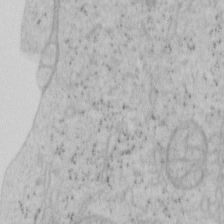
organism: Human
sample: HeLa cells